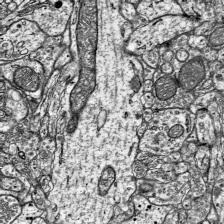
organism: Mouse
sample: Visual Cortex